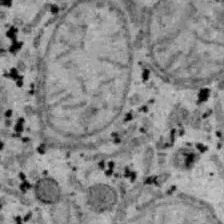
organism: Mouse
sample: Liver from an obese (ob/ob) mouse